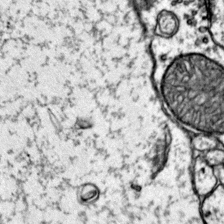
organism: Mouse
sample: Primary visual cortex